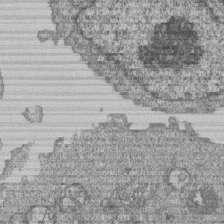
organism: Human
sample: MDA-MB-231 cells